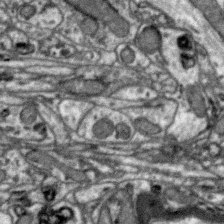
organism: Zebra finch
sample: Brain